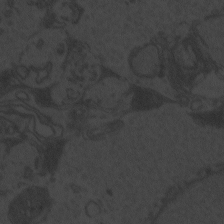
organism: Zebrafish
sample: Macrophage infected with Toxoplasma gondii